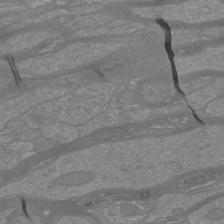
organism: Mouse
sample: Cortical neurons